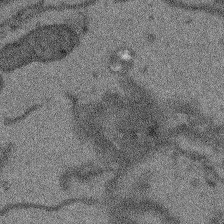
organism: Arabidopsis thaliana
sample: Root tip